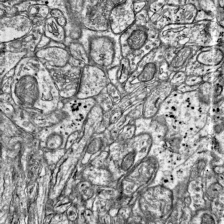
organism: Mouse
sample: Visual Cortex